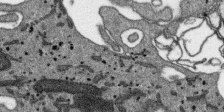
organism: Human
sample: Lung epithelial cells, uninfected (mock) control